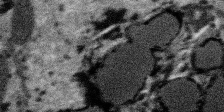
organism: Human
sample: Lung epithelial cells infected with SARS-CoV-2